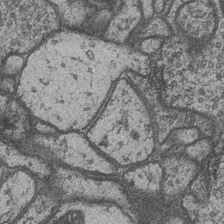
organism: Drosophila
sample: Optic medulla